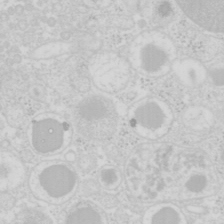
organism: Mouse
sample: Pancreas